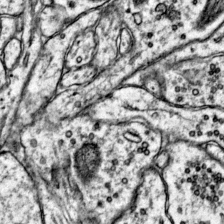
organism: Mouse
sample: Primary visual cortex